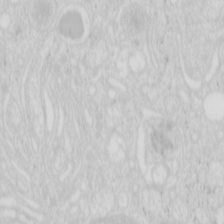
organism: Mouse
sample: Pancreas